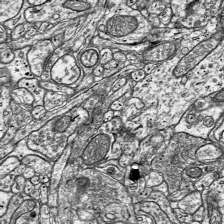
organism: Mouse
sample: Visual Cortex